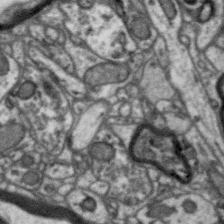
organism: Zebra finch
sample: Brain